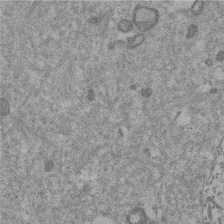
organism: Mouse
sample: Dividing mouse embryo 1 cell stage